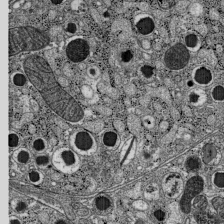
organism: C57BL Mouse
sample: Pancreatic islet